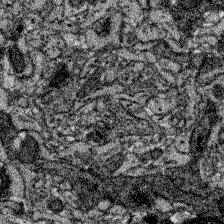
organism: Zebrafish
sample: Larval olfactory bulb